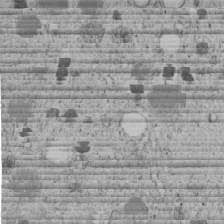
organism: C. elegans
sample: C. elegans embryo early stage